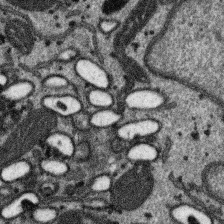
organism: Human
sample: Lung epithelial cells infected with SARS-CoV-2